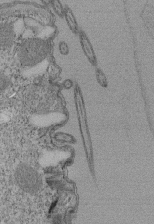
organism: Tetrahymena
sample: Cilia in tetrahymena